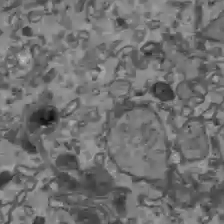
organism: C57BL Mouse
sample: Liver